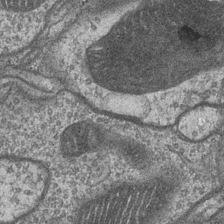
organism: Drosophila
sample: Optic medulla